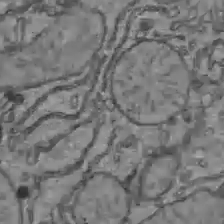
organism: C57BL Mouse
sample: Liver